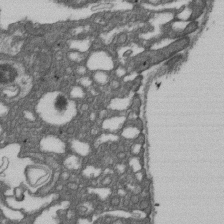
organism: Drosophila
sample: Nephrocyte